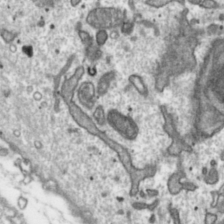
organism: Toxoplasma gondii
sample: Parasites in a vacuole inside a host cell